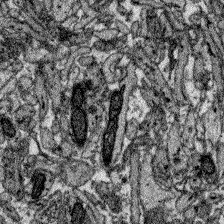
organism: Zebrafish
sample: Larval olfactory bulb